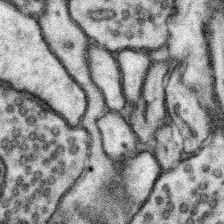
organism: Mouse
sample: Somatosensory cortex neuropil